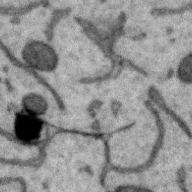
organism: Zebra finch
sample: Brain